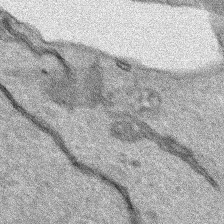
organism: Human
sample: Mitochondria in HCT116 cells